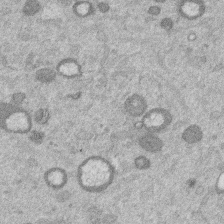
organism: Mouse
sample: Dividing mouse embryo 1 cell stage